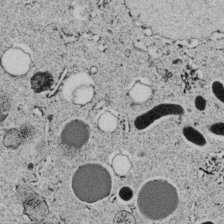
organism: C. elegans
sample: C. elegans embryo early stage